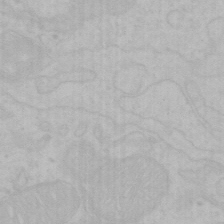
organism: Mouse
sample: Choroid plexus